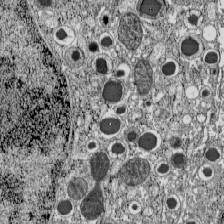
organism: C57BL Mouse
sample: Pancreatic islet